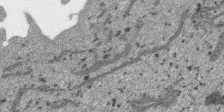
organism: Human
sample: Lung epithelial cells infected with SARS-CoV-2